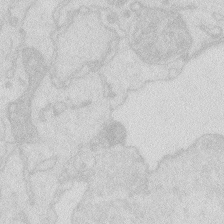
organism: Zebrafish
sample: Macrophage